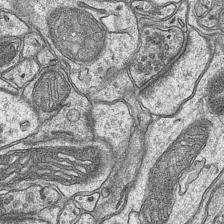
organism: Mouse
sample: CA1 Hippocampus